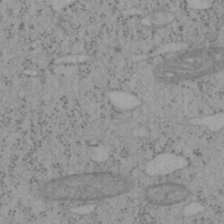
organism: Mouse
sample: OT-I killer T cells with ID8 ovarian cancer cells